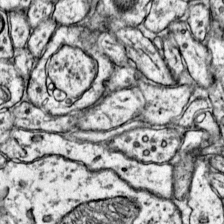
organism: Mouse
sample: Primary visual cortex